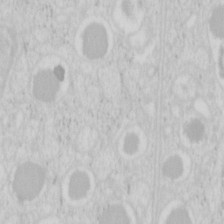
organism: Mouse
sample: Pancreas